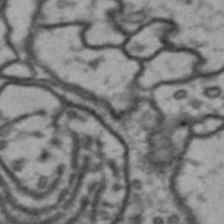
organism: Drosophila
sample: Brain